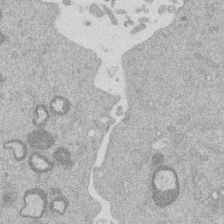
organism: Mouse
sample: Dividing mouse embryo 1 cell stage